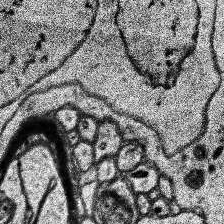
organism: Human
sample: Temporal Lobe